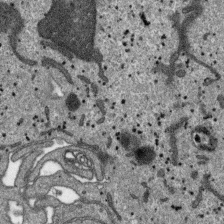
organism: Human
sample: Lung epithelial cells, uninfected (mock) control